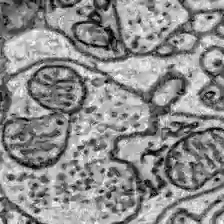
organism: Zebrafish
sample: Brain